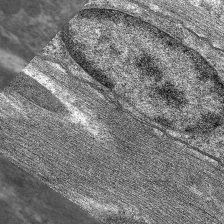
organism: C. elegans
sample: Pharynx